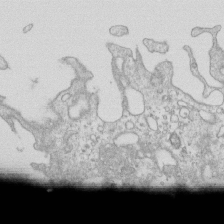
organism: Mouse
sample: Macrophages